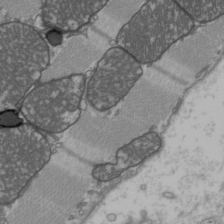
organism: C57BL Mouse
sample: Heart